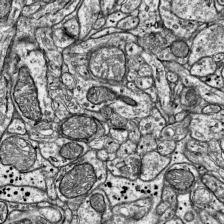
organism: Mouse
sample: Visual Cortex